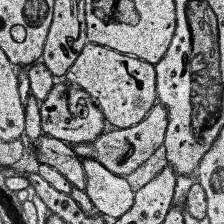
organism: Human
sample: Temporal Lobe